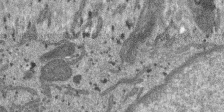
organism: Human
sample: Lung epithelial cells infected with SARS-CoV-2